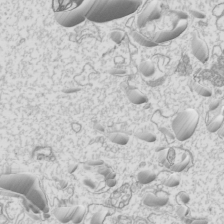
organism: Mouse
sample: Cilia; mouse epididymis